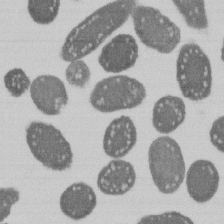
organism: E. coli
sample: Bacterial nucleoid